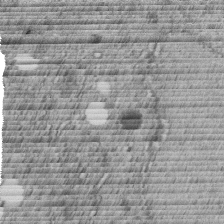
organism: C. elegans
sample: C. elegans embryo early stage